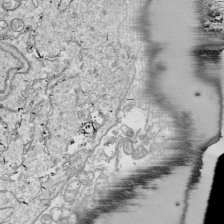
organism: Drosophila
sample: Cell division; meiosis; drosophila spermatocytes